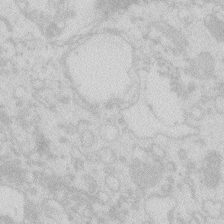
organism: Zebrafish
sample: Macrophage